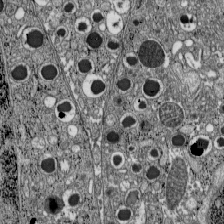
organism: C57BL Mouse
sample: Pancreatic islet